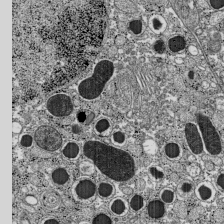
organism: C57BL Mouse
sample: Pancreatic islet